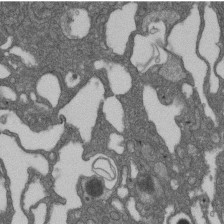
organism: Drosophila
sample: Nephrocyte